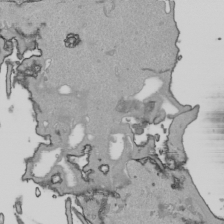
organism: Human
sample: Mitochondria in HCT116 cells